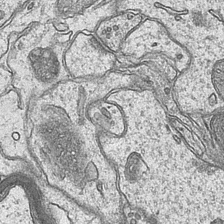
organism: Mouse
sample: CA1 Hippocampus